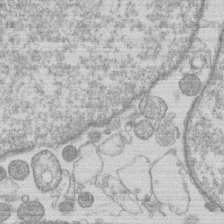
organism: Human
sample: Macrophage cells